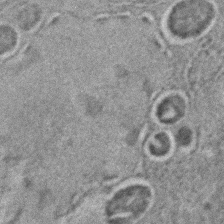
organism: C. elegans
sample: C. elegans embryo